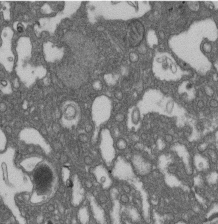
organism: Drosophila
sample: Nephrocyte